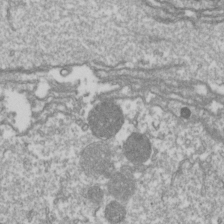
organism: Drosophila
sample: Cell division; meiosis; drosophila spermatocytes